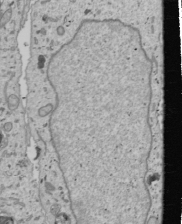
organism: Human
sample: Mitochondria in U2OS cells